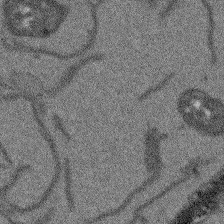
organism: Arabidopsis thaliana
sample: Root tip